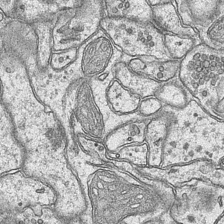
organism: Mouse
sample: CA1 Hippocampus